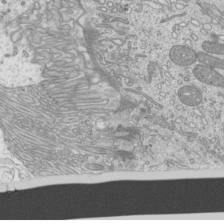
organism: Mouse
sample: Cilia; mouse epididymis